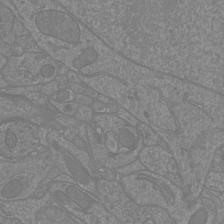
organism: Mouse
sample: Cortical neurons